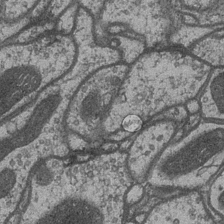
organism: Drosophila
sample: Optic medulla